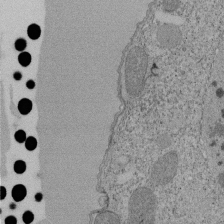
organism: Tetrahymena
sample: Cilia in tetrahymena